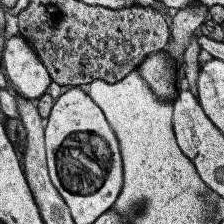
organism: Human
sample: Temporal Lobe